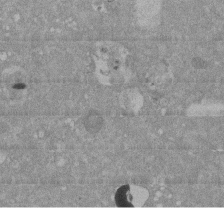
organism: Mouse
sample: ED-1 cell nuclei; centrioles